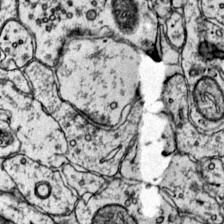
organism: Mouse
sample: Primary visual cortex